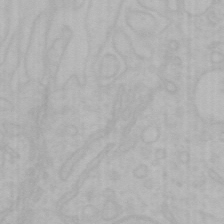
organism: Mouse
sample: Choroid plexus